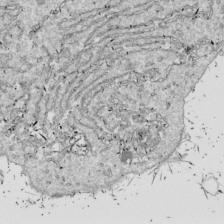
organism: Drosophila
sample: Cell division; meiosis; drosophila spermatocytes